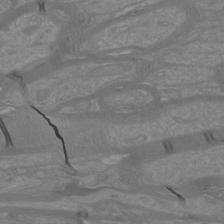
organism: Mouse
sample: Cortical neurons